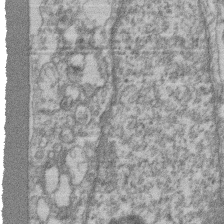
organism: Mouse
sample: T cell stromal cell synapse